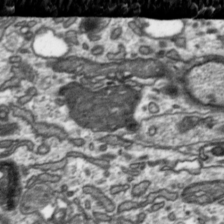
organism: Toxoplasma gondii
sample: Parasites in a vacuole inside a host cell